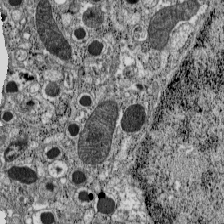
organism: C57BL Mouse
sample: Pancreatic islet